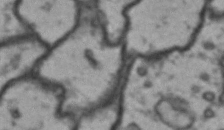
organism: Drosophila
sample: Brain